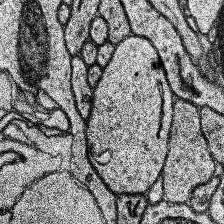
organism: Human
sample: Temporal Lobe